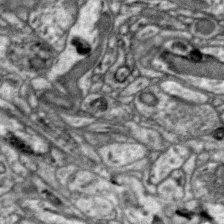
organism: Zebra finch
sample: Brain